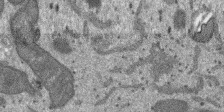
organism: Human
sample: Lung epithelial cells infected with SARS-CoV-2